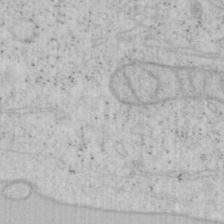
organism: Human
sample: HeLa cells